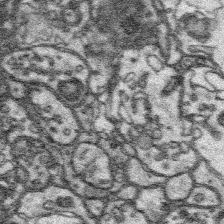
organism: Platynereis dumerilii